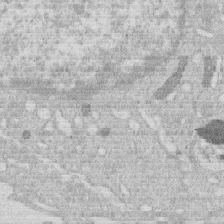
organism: Human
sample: Macrophage cells